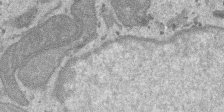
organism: Human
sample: Lung epithelial cells infected with SARS-CoV-2